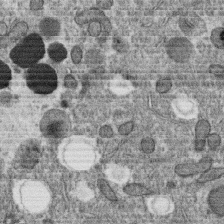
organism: C. elegans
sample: C. elegans oocyte; sperm cells